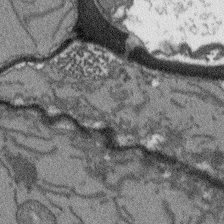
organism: Arabidopsis thaliana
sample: Root tip